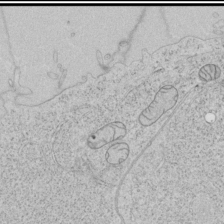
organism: Human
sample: Mitochondria in HCT116 cells